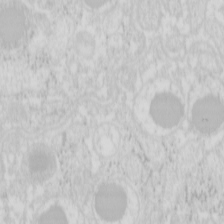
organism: Mouse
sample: Pancreas